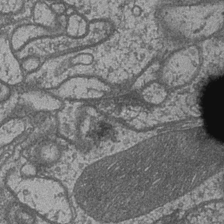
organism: Drosophila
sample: Optic medulla